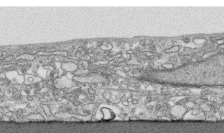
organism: Human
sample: CRL-1474